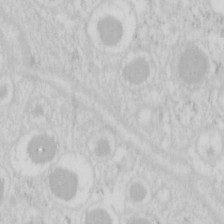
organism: Mouse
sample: Pancreas